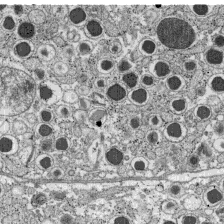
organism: C57BL Mouse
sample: Pancreatic islet